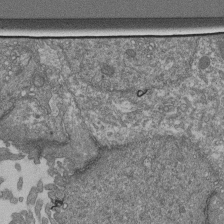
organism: Human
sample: Retinal organoid Rod and Cone cells